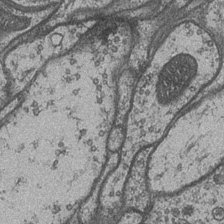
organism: Drosophila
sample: Optic medulla